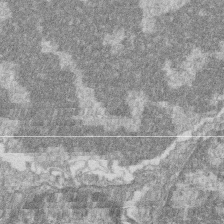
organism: Zebrafish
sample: Cilia; retinal pigment epithelium